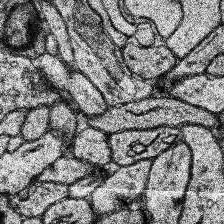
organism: Human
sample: Temporal Lobe